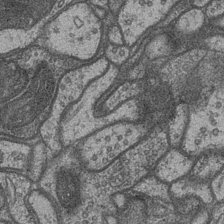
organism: Drosophila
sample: Optic medulla